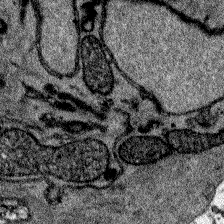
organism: Zebrafish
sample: Larval olfactory bulb